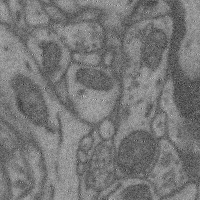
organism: Mouse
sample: Cerebral cortex